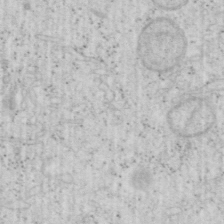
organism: Human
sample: HeLa cells